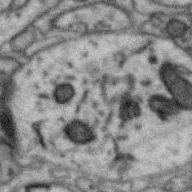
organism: Zebra finch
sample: Brain